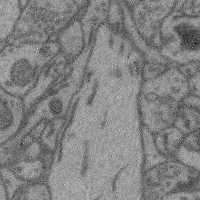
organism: Mouse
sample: Cerebral cortex